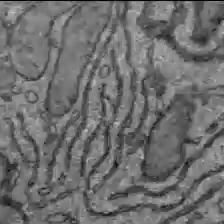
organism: C57BL Mouse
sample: Liver